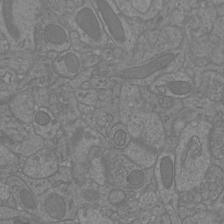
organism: Mouse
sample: Cortical neurons